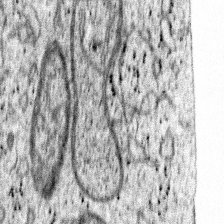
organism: Human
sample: HeLa cells